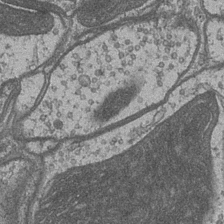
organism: Drosophila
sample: Optic medulla